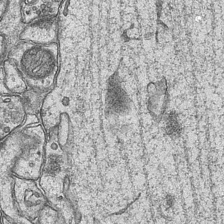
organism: Mouse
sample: CA1 Hippocampus